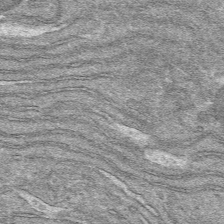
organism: Mouse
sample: Mouse hepatocytes